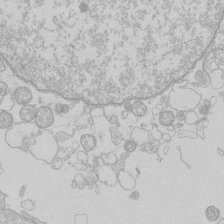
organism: Human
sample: Macrophage cells